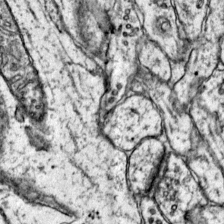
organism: Mouse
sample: Primary visual cortex